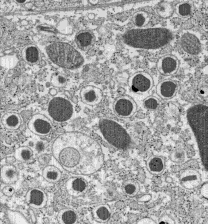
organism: C57BL Mouse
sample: Pancreatic islet